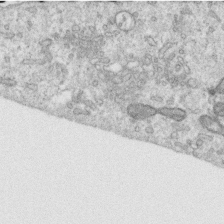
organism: Human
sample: Centriole in RPE cells